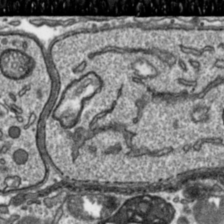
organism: Toxoplasma gondii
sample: Parasites in a vacuole inside a host cell